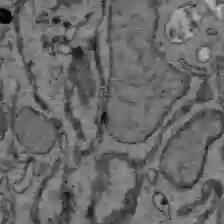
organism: C57BL Mouse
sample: Liver